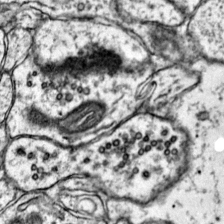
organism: Mouse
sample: Primary visual cortex